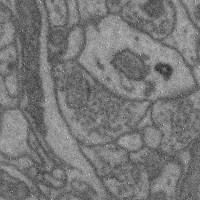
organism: Mouse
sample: Cerebral cortex